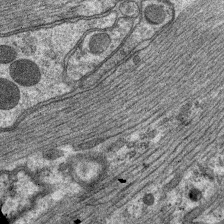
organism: C. elegans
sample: Pharynx